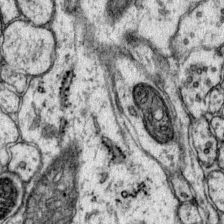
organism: Mouse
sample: Primary visual cortex